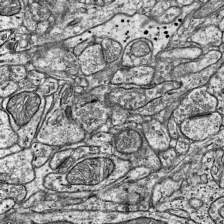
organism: Mouse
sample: Visual Cortex